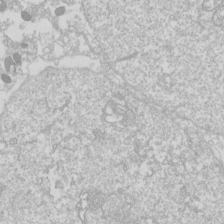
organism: Drosophila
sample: Cell division; meiosis; drosophila spermatocytes